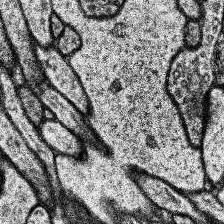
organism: Human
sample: Temporal Lobe